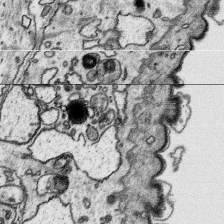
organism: Platynereis dumerilii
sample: Parapodia